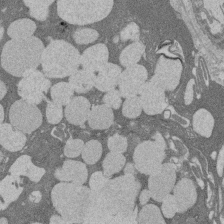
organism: Rat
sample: Salivary granule